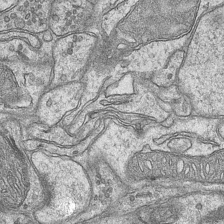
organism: Mouse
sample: CA1 Hippocampus